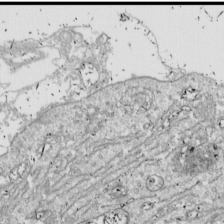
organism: Drosophila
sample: Cell division; meiosis; drosophila spermatocytes